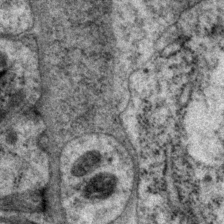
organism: P. pacificus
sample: Pharynx